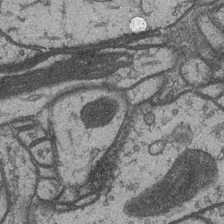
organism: Drosophila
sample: Optic medulla